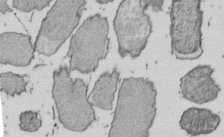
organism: E. coli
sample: Bacterial nucleoid